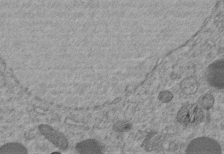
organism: C. elegans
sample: C. elegans embryo early stage